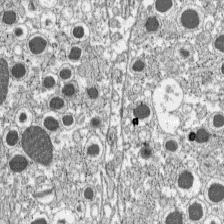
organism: C57BL Mouse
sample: Pancreatic islet